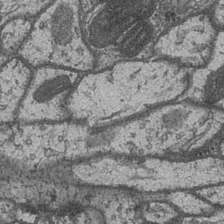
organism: Drosophila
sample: Optic medulla